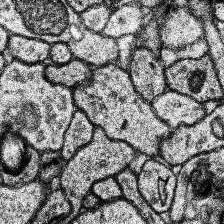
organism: Human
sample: Temporal Lobe